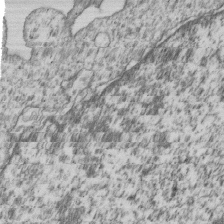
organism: Human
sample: MDA-MB-231 cells